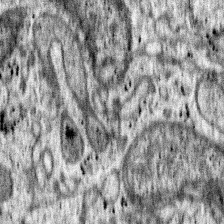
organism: Human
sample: HeLa cells